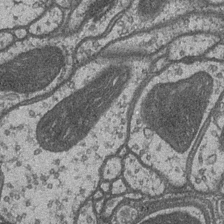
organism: Drosophila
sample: Optic medulla